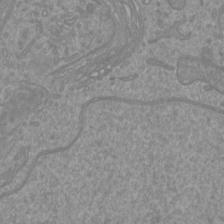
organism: Mouse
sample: Cortical neurons